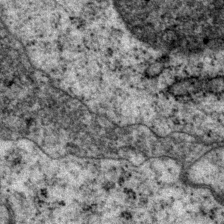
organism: P. pacificus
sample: Pharynx